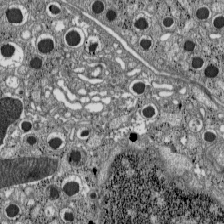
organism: C57BL Mouse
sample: Pancreatic islet